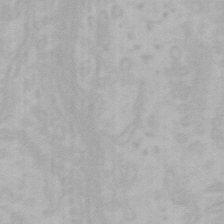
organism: Mouse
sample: Choroid plexus